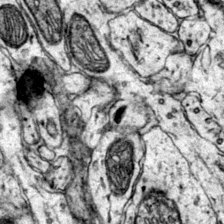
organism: Mouse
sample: Primary visual cortex